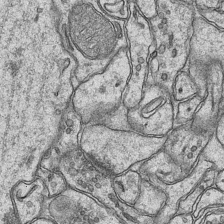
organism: Mouse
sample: CA1 Hippocampus